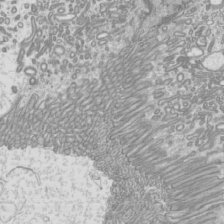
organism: Mouse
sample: Cilia; mouse epididymis